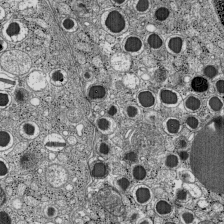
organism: C57BL Mouse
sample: Pancreatic islet